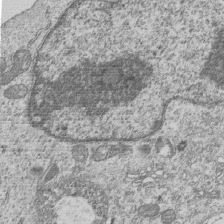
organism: Human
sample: MDA-MB-231 cells